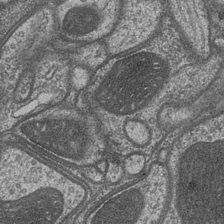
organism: Drosophila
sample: Optic medulla